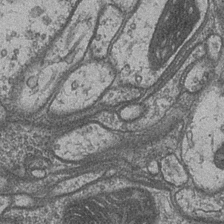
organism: Drosophila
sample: Optic medulla